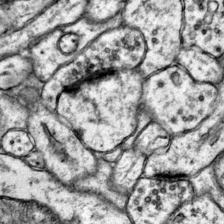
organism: Mouse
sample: Primary visual cortex